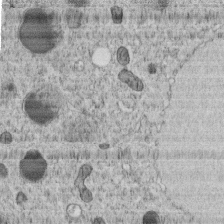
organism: C. elegans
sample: C. elegans embryo early stage